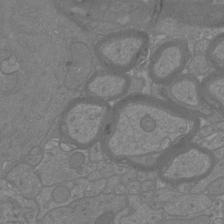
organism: Mouse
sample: Cortical neurons